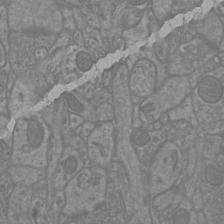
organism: Mouse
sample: Cortical neurons